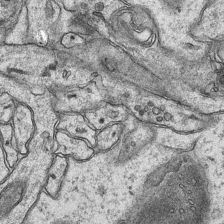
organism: Mouse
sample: CA1 Hippocampus